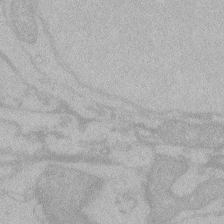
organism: Zebrafish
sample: Macrophage infected with Toxoplasma gondii